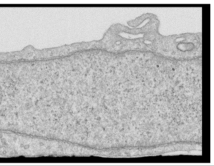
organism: Human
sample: Centriole in RPE cells